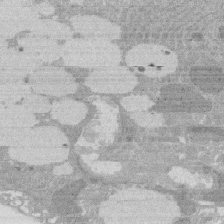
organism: Rat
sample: Salivary granule